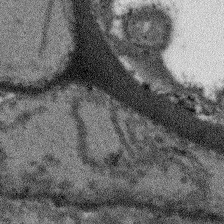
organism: Arabidopsis thaliana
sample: Root tip